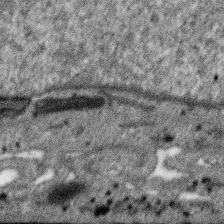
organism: Human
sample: Lung epithelial cells infected with SARS-CoV-2